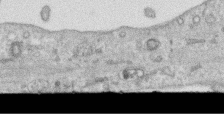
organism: Human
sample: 1205lu cells